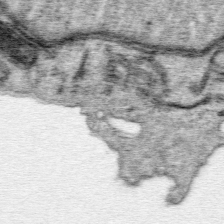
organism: Human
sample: HeLa cells